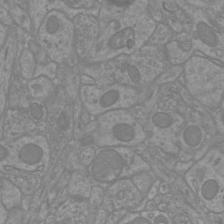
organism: Mouse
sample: Cortical neurons